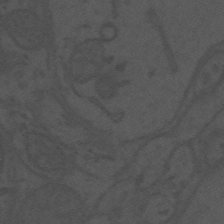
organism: Mouse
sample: Suprachiasmatic nucleus